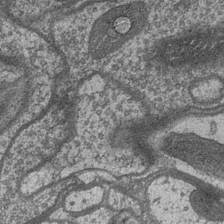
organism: Drosophila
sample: Optic medulla